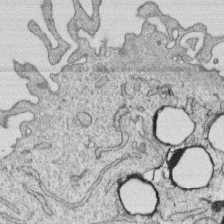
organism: Human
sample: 1205lu cells